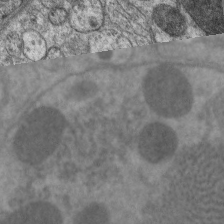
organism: C. elegans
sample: Pharynx